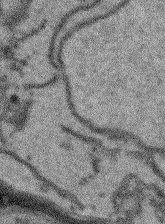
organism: Arabidopsis thaliana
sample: Root tip